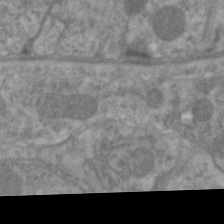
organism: C. elegans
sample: Pharynx